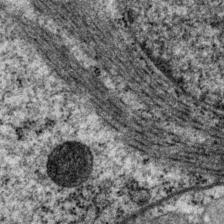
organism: P. pacificus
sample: Pharynx